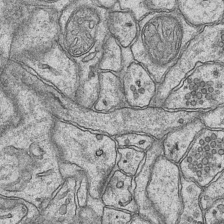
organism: Mouse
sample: CA1 Hippocampus